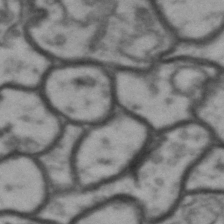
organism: Drosophila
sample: Brain